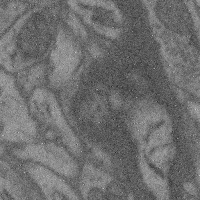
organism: Mouse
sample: Cerebral cortex